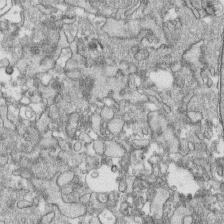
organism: Human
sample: CRL-1474